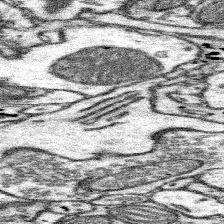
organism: Mouse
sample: Somatosensory cortex neuropil